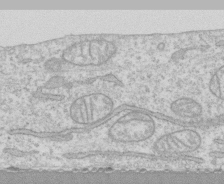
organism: Human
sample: CRL-1474